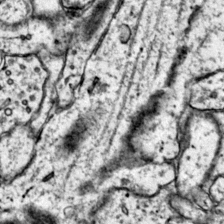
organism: Mouse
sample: Primary visual cortex